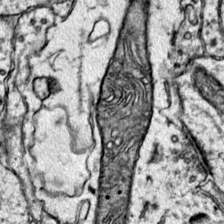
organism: Mouse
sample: Primary visual cortex